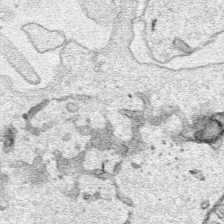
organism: Human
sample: Mitochondria in HCT116 cells